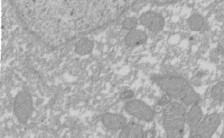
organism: Xenopus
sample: Cilia; centrioles in frog embryo cells